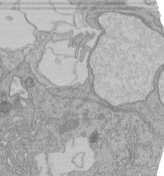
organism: Human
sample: Retinal organoid Rod and Cone cells